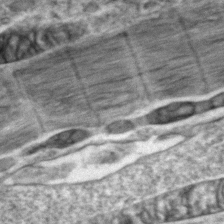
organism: Zebrafish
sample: Zebrafish embryo